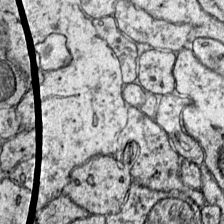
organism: Mouse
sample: Primary visual cortex